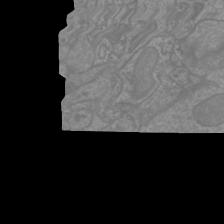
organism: Mouse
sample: Cortical neurons